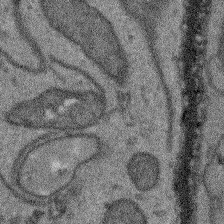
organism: Arabidopsis thaliana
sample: Root tip